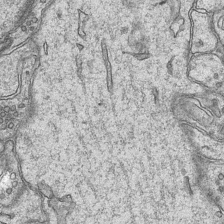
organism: Mouse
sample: CA1 Hippocampus